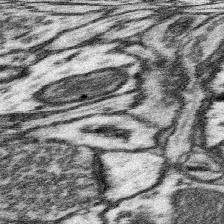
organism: Mouse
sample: Somatosensory cortex neuropil